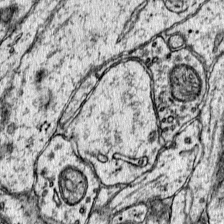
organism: Mouse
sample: Primary visual cortex